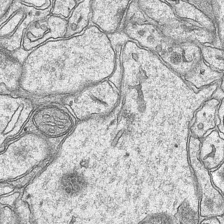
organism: Mouse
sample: CA1 Hippocampus